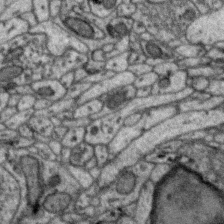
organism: Zebra finch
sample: Brain